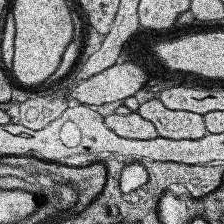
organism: Human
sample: Temporal Lobe